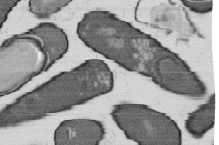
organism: B. subtilis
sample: Bacterial spore